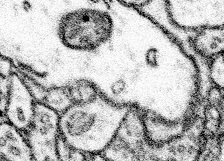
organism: Mouse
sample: Somatosensory cortex neuropil